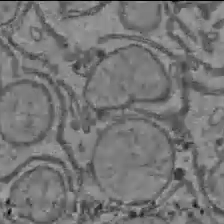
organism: C57BL Mouse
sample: Liver